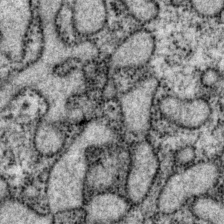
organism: P. pacificus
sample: Pharynx